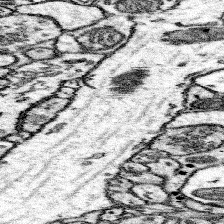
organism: Mouse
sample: Somatosensory cortex neuropil